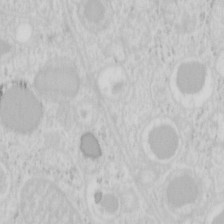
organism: Mouse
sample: Pancreas